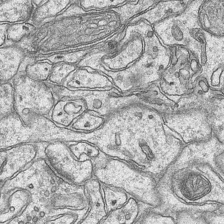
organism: Mouse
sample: CA1 Hippocampus